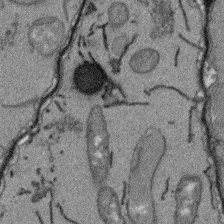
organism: Arabidopsis thaliana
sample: Root tip